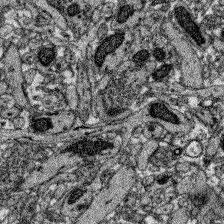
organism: Zebrafish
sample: Larval olfactory bulb